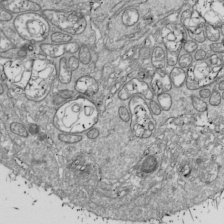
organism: Drosophila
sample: Cell division; meiosis; drosophila spermatocytes